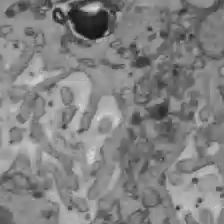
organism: C57BL Mouse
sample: Liver